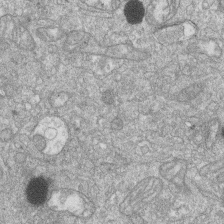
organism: Human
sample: HeLa cell HIV synapse